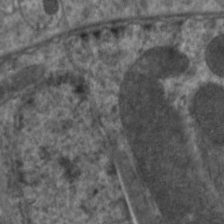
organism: C. elegans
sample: Pharynx